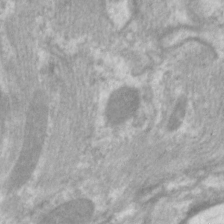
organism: C. elegans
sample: Pharynx